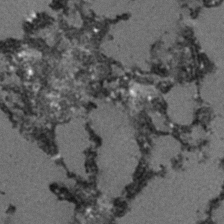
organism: C. elegans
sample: C. elegans embryo